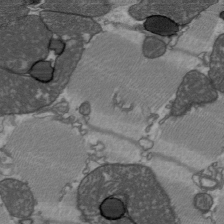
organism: C57BL Mouse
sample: Heart